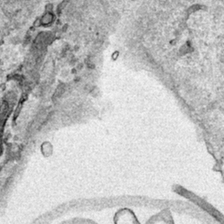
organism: Human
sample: Mitochondria in HCT116 cells